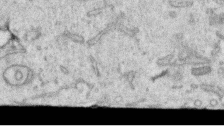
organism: Human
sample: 1205lu cells